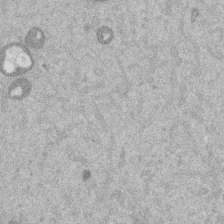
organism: Mouse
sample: Dividing mouse embryo 1 cell stage